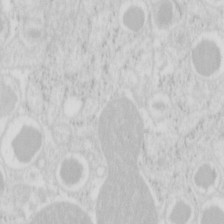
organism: Mouse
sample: Pancreas